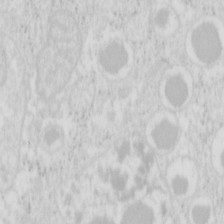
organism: Mouse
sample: Pancreas